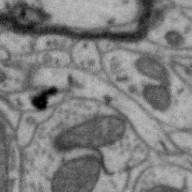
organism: Zebra finch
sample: Brain